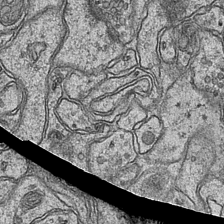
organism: Mouse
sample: CA1 Hippocampus